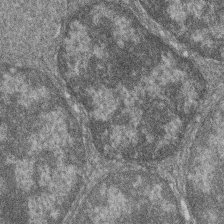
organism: Zebrafish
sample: Cilia; retinal pigment epithelium